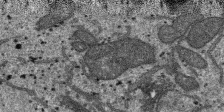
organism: Human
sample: Lung epithelial cells infected with SARS-CoV-2